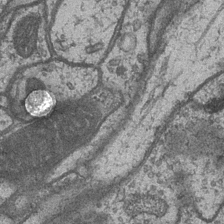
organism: Drosophila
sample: Optic medulla